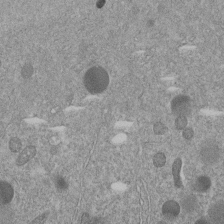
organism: C. elegans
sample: C. elegans embryo early stage